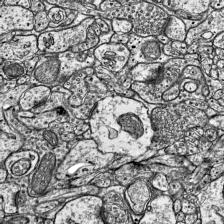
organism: Mouse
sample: Visual Cortex